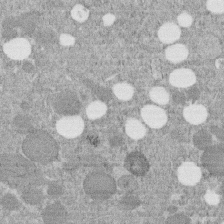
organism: C. elegans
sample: C. elegans embryo early stage